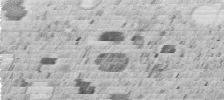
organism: C. elegans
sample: C. elegans embryo early stage